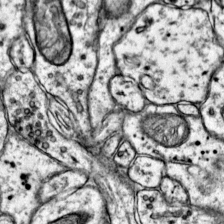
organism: Mouse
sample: Primary visual cortex